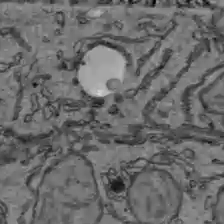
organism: C57BL Mouse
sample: Liver